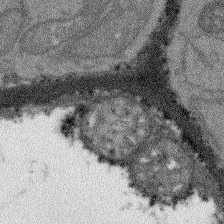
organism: Arabidopsis thaliana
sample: Root tip